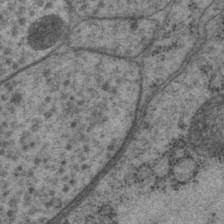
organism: P. pacificus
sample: Pharynx